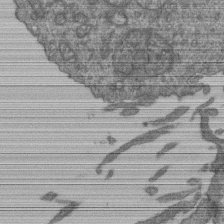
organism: Human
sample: Retinal organoid Rod and Cone cells